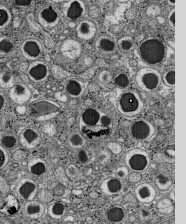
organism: C57BL Mouse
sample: Pancreatic islet